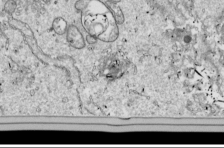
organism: Drosophila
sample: Cell division; meiosis; drosophila spermatocytes